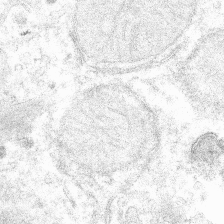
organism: Mouse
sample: Mouse hepatocytes